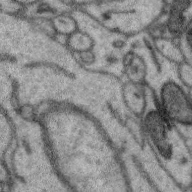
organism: Zebra finch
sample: Brain